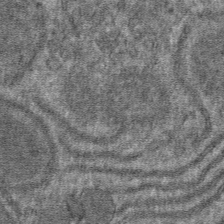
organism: Mouse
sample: Mouse hepatocytes